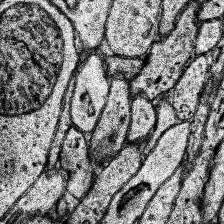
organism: Human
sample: Temporal Lobe